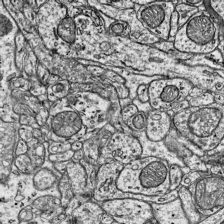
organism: Mouse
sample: Visual Cortex